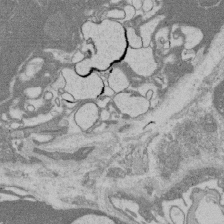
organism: Rat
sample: Salivary granule